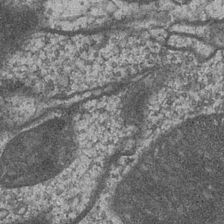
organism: Drosophila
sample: Optic medulla